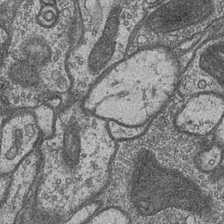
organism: Drosophila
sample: Optic medulla